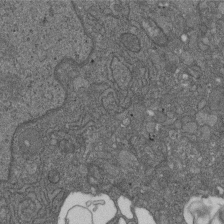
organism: Drosophila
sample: Nephrocyte